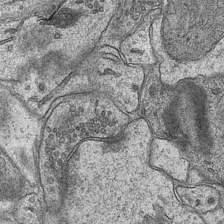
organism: Mouse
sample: CA1 Hippocampus